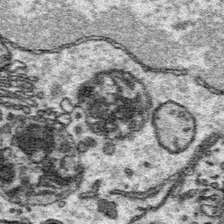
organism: Platynereis dumerilii